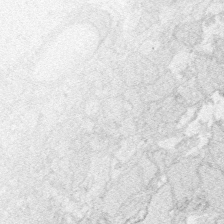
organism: Zebrafish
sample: Whole-Brain